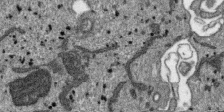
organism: Human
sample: Lung epithelial cells, uninfected (mock) control